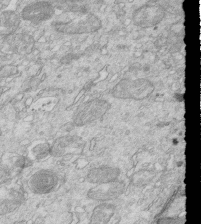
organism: Mouse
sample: Multiciliated cells